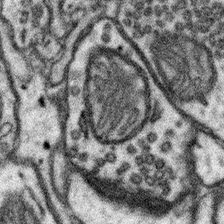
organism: Mouse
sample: Somatosensory cortex neuropil